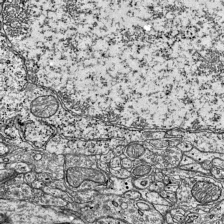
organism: Mouse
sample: Visual Cortex